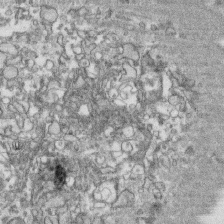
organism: Human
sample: CRL-1474